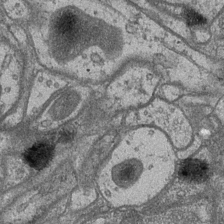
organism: Drosophila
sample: Optic medulla